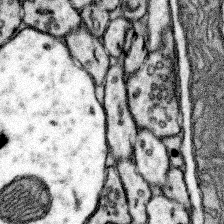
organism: Mouse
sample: Somatosensory cortex neuropil